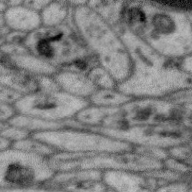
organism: Zebra finch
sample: Brain